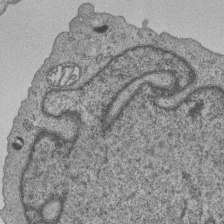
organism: Human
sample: MDA-MB-231 cells